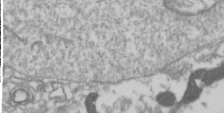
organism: Drosophila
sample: Cell division; meiosis; drosophila spermatocytes